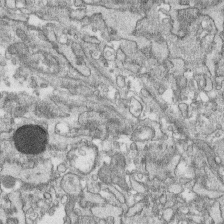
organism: Human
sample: CRL-1474